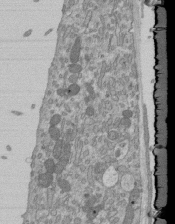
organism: Mouse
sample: ED-1 cell nuclei; centrioles